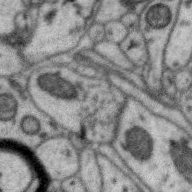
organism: Zebra finch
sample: Brain